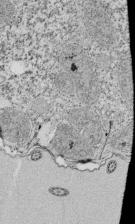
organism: Tetrahymena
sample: Cilia in tetrahymena